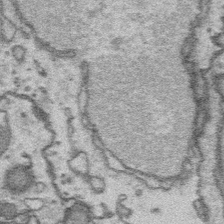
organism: Platynereis dumerilii